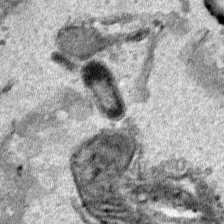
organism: Human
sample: Mitochondria in HCT116 cells